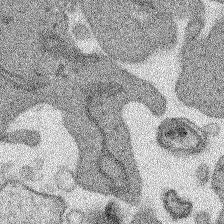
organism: Human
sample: HeLa cells